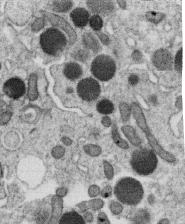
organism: C. elegans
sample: C. elegans oocyte; sperm cells